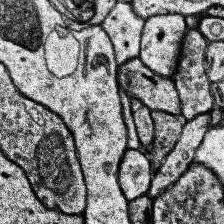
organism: Human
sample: Temporal Lobe